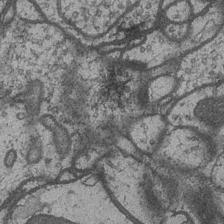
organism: Drosophila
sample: Optic medulla